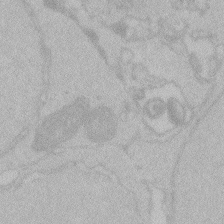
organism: Zebrafish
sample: Macrophage infected with Toxoplasma gondii